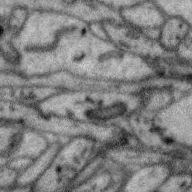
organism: Zebra finch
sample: Brain